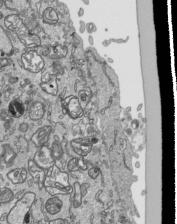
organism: Human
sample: Mitochondria in HCT116 cells